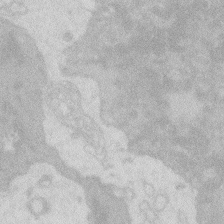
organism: Zebrafish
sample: Macrophage